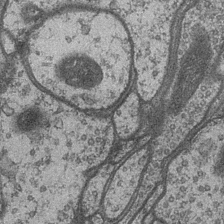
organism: Drosophila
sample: Optic medulla